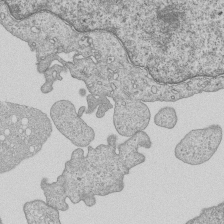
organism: Human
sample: MDA-MB-231 cells